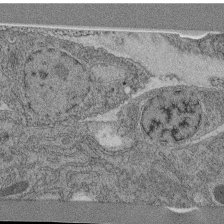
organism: C. elegans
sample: C. elegans pharynx